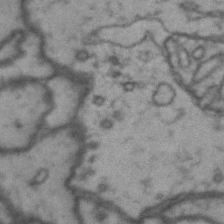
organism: Drosophila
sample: Brain